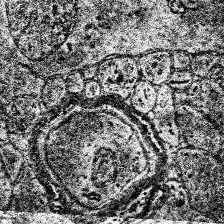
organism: Human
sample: Temporal Lobe